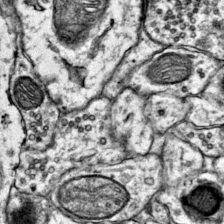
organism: Mouse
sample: Primary visual cortex